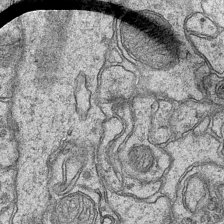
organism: Mouse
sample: CA1 Hippocampus